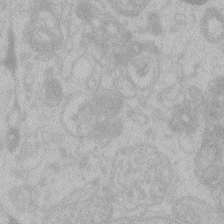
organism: Zebrafish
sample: Macrophage infected with Toxoplasma gondii